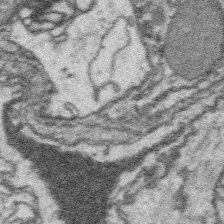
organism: Platynereis dumerilii